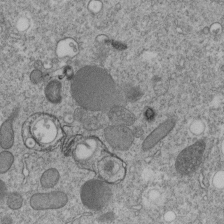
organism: C. elegans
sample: C. elegans embryo early stage